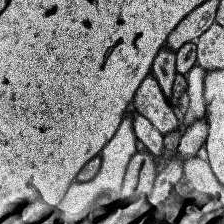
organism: Human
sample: Temporal Lobe